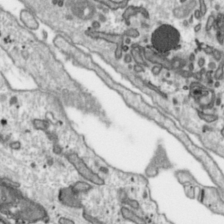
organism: Toxoplasma gondii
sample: Parasites in a vacuole inside a host cell